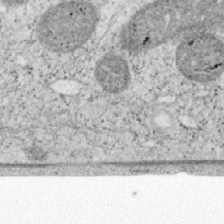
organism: Mouse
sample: OT-I killer T cells with ID8 ovarian cancer cells